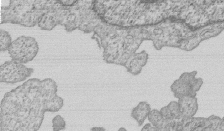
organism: Human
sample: MDA-MB-231 cells